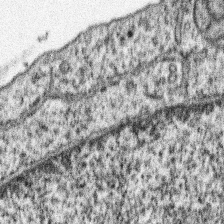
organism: Human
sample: HeLa cells